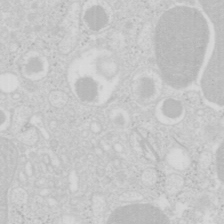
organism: Mouse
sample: Pancreas